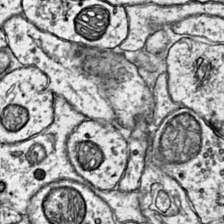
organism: Mouse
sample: Primary visual cortex